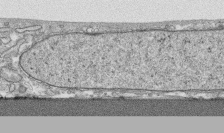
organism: Human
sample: CRL-1474